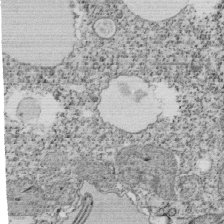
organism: Tetrahymena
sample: Cilia in tetrahymena